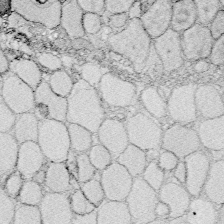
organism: Zebrafish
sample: Whole-Brain